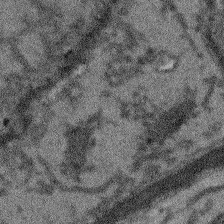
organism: Arabidopsis thaliana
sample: Root tip